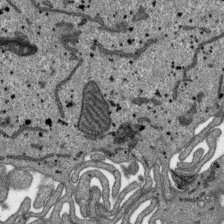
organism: Human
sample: Lung epithelial cells, uninfected (mock) control